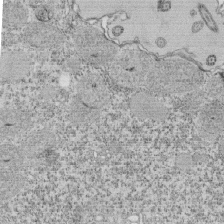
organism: Tetrahymena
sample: Cilia in tetrahymena